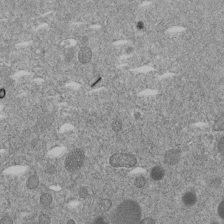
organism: C. elegans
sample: C. elegans embryo early stage